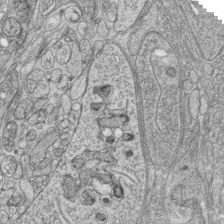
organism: Zebrafish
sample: synaptic ribbons in rod cells and cone cells